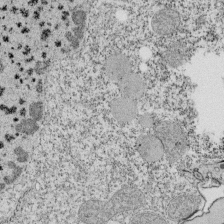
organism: Tetrahymena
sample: Cilia in tetrahymena